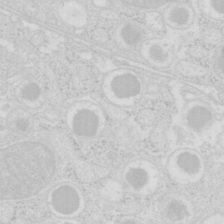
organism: Mouse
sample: Pancreas